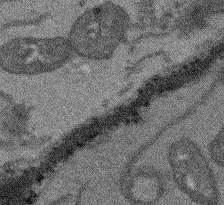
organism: Arabidopsis thaliana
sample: Root tip